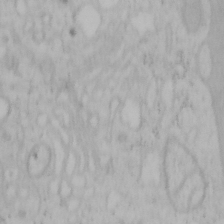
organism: Mouse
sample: OT-I killer T cells with ID8 ovarian cancer cells